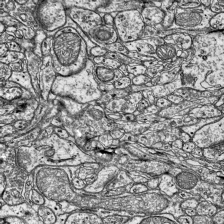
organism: Mouse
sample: Visual Cortex